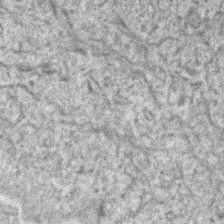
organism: Human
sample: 1205lu cells